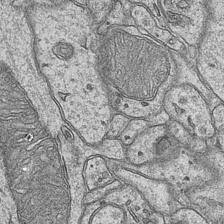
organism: Mouse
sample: CA1 Hippocampus